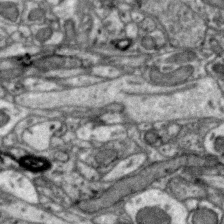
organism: Zebra finch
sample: Brain